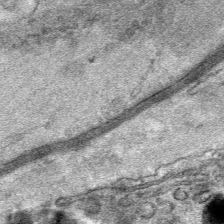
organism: Mouse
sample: Mouse Salivary gland